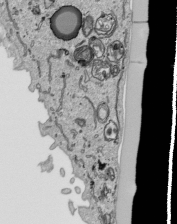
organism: Human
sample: Mitochondria in HCT116 cells